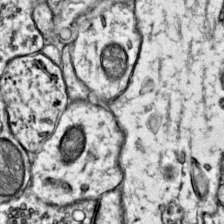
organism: Mouse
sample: Primary visual cortex